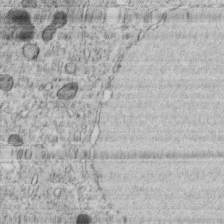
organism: C. elegans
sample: C. elegans embryo early stage